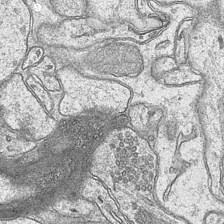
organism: Mouse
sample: CA1 Hippocampus